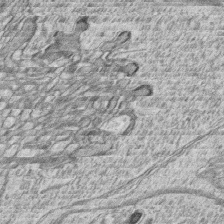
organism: Zebrafish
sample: synaptic ribbons in rod cells and cone cells